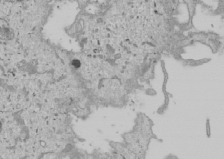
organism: Human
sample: Mitochondria in U2OS cells